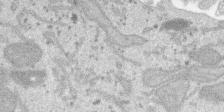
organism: Human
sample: Lung epithelial cells infected with SARS-CoV-2